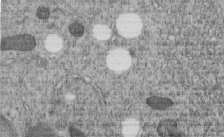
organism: C. elegans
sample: C. elegans embryo early stage